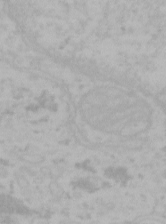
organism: Mouse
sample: Choroid plexus